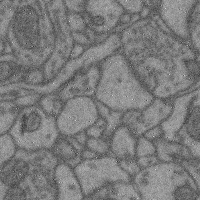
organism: Mouse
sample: Cerebral cortex